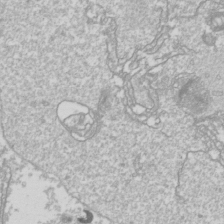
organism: Drosophila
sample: Cell division; meiosis; drosophila spermatocytes